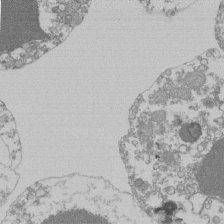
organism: Mouse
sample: Activated Pmel transgenic CD8+ T Cells